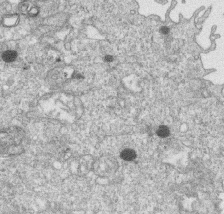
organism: Human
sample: HeLa cell HIV synapse